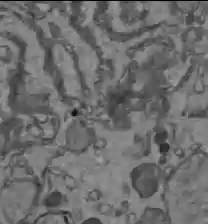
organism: C57BL Mouse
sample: Liver